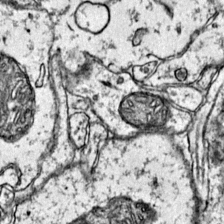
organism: Mouse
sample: Primary visual cortex